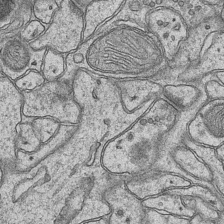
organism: Mouse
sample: CA1 Hippocampus